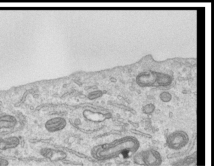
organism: Human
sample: Centriole in RPE cells